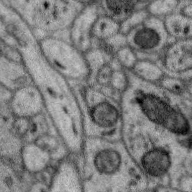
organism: Zebra finch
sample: Brain